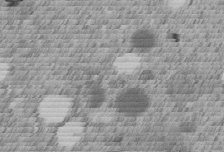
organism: C. elegans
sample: C. elegans embryo early stage